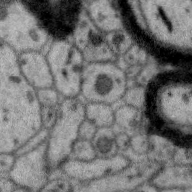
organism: Zebra finch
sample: Brain